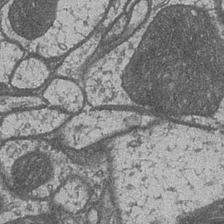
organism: Drosophila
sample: Optic medulla